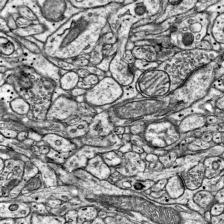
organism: Mouse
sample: Visual Cortex